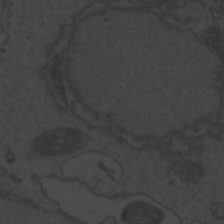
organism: Zebrafish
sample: Macrophage infected with Toxoplasma gondii